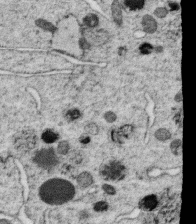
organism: C. elegans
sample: C. elegans oocyte; sperm cells